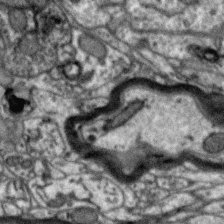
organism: Zebra finch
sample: Brain